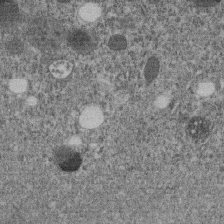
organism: C. elegans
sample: C. elegans embryo early stage